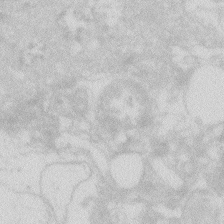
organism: Zebrafish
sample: Macrophage